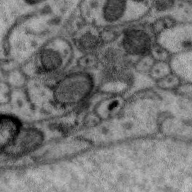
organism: Zebra finch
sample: Brain